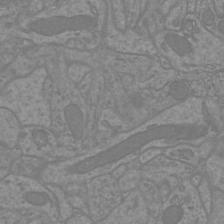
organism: Mouse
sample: Cortical neurons